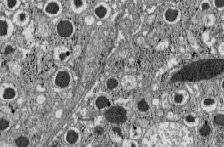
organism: C57BL Mouse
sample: Pancreatic islet